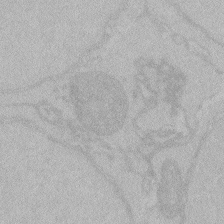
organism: Zebrafish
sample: Macrophage infected with Toxoplasma gondii